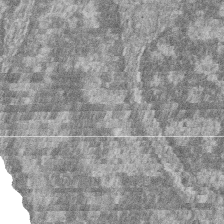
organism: Zebrafish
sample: Cilia; retinal pigment epithelium